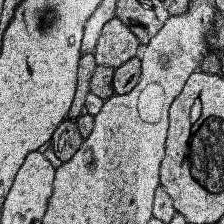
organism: Human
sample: Temporal Lobe